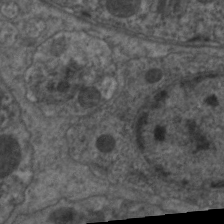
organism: C. elegans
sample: Pharynx